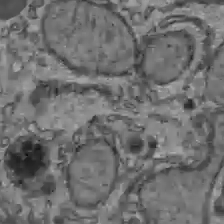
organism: C57BL Mouse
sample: Liver